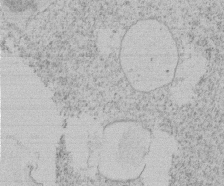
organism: Tetrahymena